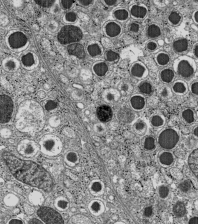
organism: C57BL Mouse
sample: Pancreatic islet